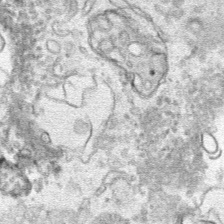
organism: Human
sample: Mitochondria in HCT116 cells